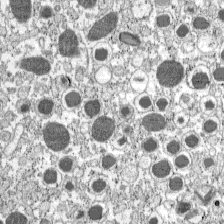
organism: C57BL Mouse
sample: Pancreatic islet